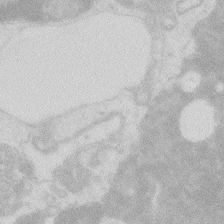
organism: Zebrafish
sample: Macrophage